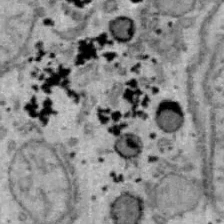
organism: Mouse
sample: Liver from an obese (ob/ob) mouse